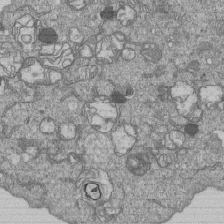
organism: Human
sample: MDA-MB-231 cells